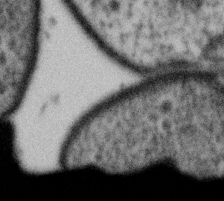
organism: Gemmata obscuriglobus